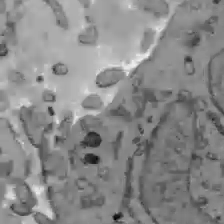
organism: C57BL Mouse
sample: Liver